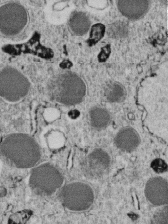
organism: C. elegans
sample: C. elegans embryo early stage